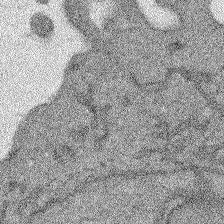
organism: Human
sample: HeLa cells